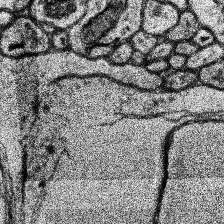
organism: Human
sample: Temporal Lobe